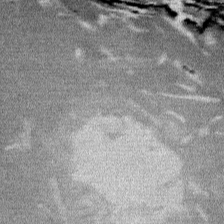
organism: Mouse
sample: Mouse Salivary gland